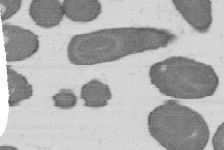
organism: B. subtilis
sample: Bacterial spore